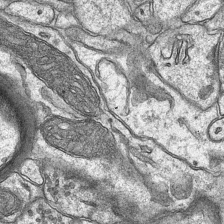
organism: Mouse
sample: CA1 Hippocampus